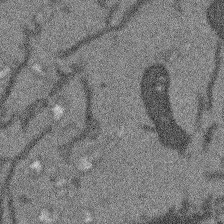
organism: Arabidopsis thaliana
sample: Root tip